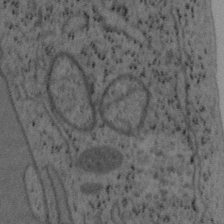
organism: Human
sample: HeLa cells